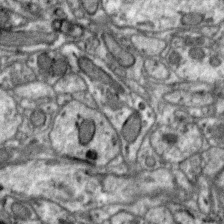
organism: Zebra finch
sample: Brain